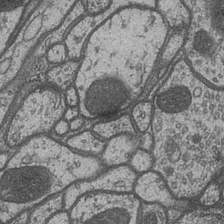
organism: Drosophila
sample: Optic medulla